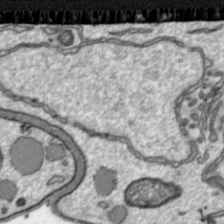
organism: Toxoplasma gondii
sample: Parasites in a vacuole inside a host cell